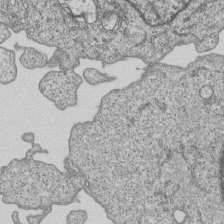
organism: Human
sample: MDA-MB-231 cells